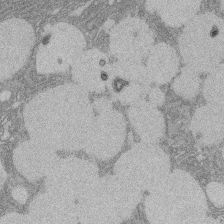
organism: Rat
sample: Salivary granule